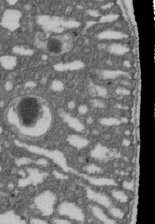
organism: Drosophila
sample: Nephrocyte